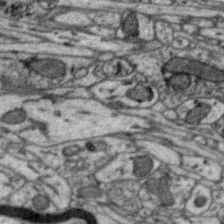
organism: Zebra finch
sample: Brain